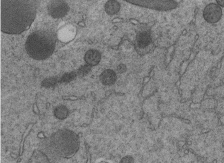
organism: C. elegans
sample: C. elegans embryo early stage